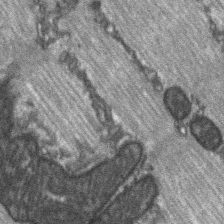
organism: C57BL Mouse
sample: Soleus